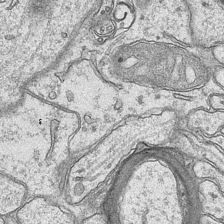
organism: Mouse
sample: CA1 Hippocampus